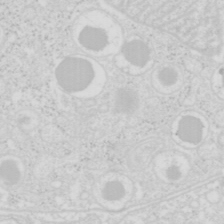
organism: Mouse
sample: Pancreas